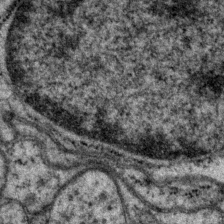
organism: P. pacificus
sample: Pharynx